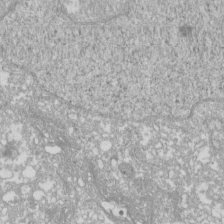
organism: Xenopus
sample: Cilia; centrioles in frog embryo cells